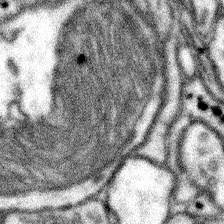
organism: Mouse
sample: Somatosensory cortex neuropil